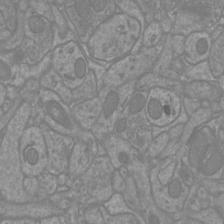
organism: Mouse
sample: Cortical neurons